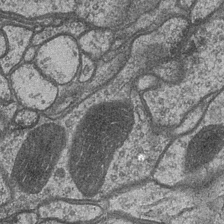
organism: Drosophila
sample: Optic medulla